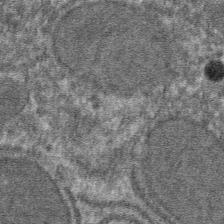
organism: Mouse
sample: Mouse hepatocytes